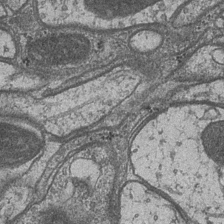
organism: Drosophila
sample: Optic medulla